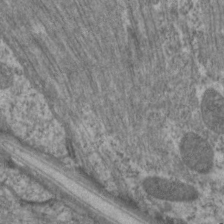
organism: C. elegans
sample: Pharynx